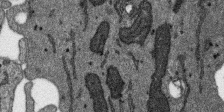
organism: Human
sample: Lung epithelial cells infected with SARS-CoV-2